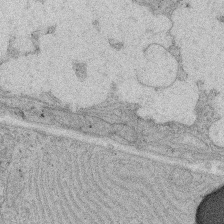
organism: Rat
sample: Salivary granule